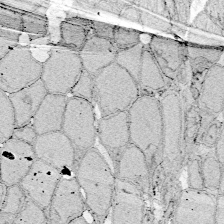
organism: Zebrafish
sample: Whole-Brain